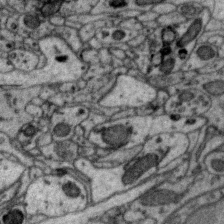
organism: Zebra finch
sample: Brain